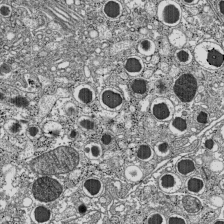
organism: C57BL Mouse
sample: Pancreatic islet